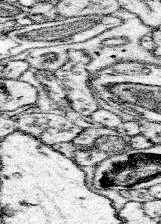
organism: Mouse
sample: Somatosensory cortex neuropil